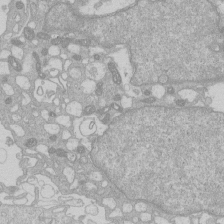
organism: Human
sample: Macrophage cells